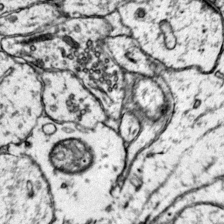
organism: Mouse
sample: Primary visual cortex